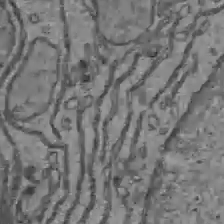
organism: C57BL Mouse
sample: Liver